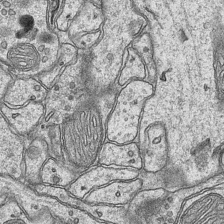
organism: Mouse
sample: CA1 Hippocampus